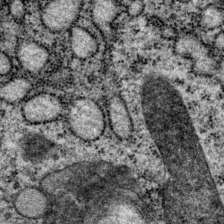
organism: P. pacificus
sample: Pharynx